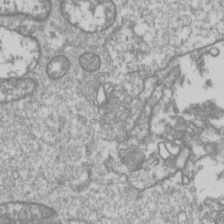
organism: Drosophila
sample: Cell division; meiosis; drosophila spermatocytes